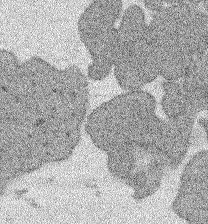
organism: Human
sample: HeLa cells